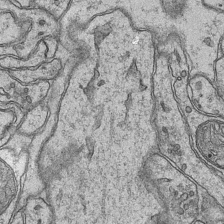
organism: Mouse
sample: CA1 Hippocampus